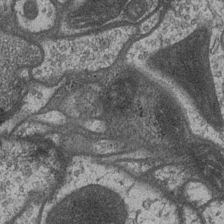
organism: Drosophila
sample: Optic medulla